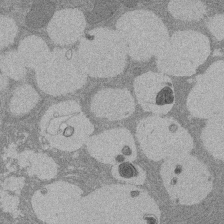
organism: Rat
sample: Salivary granule